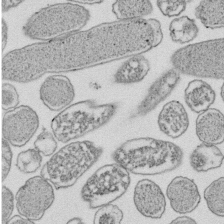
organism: E. coli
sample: Bacterial nucleoid